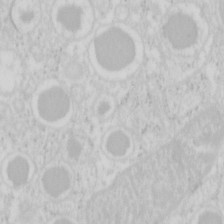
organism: Mouse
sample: Pancreas